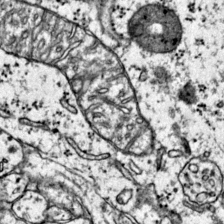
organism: Mouse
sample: Primary visual cortex